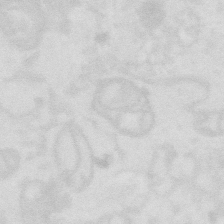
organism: Human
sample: HeLa cells